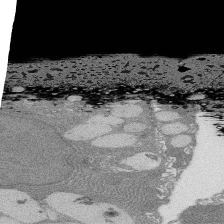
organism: Rat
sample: Salivary granule